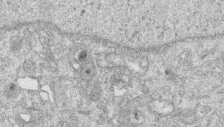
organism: Human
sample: HeLa cell HIV synapse